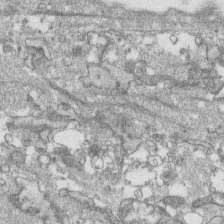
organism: Human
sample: CRL-1474